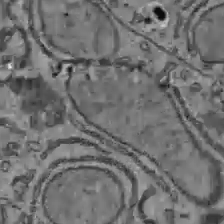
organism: C57BL Mouse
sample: Liver